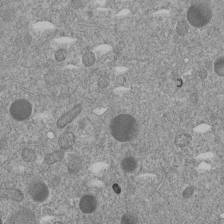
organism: C. elegans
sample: C. elegans embryo early stage